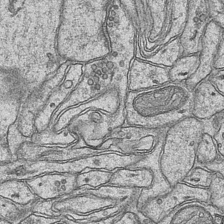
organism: Mouse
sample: CA1 Hippocampus